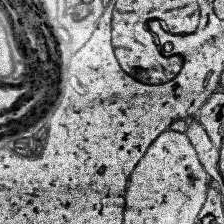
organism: Human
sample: Temporal Lobe